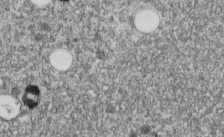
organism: C. elegans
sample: C. elegans embryo early stage